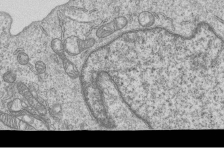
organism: Human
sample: MDA-MB-231 cells